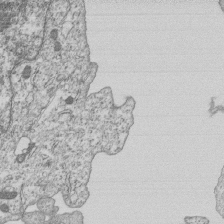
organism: Human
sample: MDA-MB-231 cells